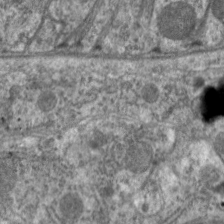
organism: C. elegans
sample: Pharynx